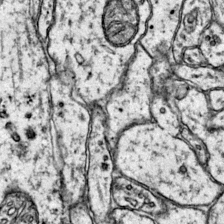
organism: Mouse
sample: Primary visual cortex